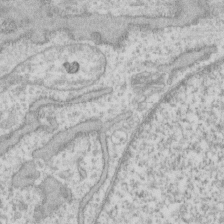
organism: Human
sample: Fibroblast cells